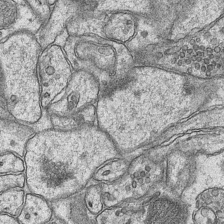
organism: Mouse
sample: CA1 Hippocampus